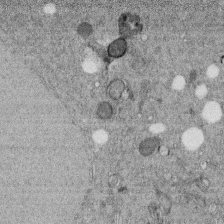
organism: C. elegans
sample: C. elegans embryo early stage